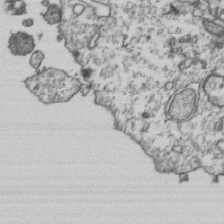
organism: Human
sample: Activated Jurkat CD4+ T cells